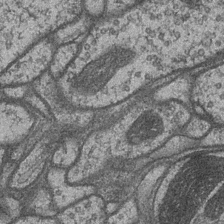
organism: Drosophila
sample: Optic medulla